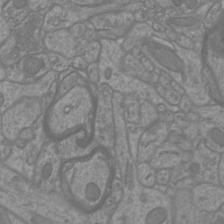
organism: Mouse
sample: Cortical neurons